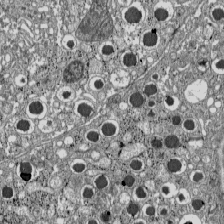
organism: C57BL Mouse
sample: Pancreatic islet